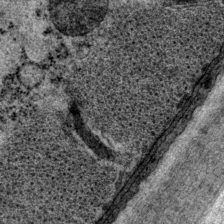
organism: P. pacificus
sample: Pharynx